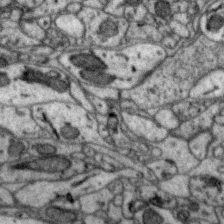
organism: Zebra finch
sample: Brain